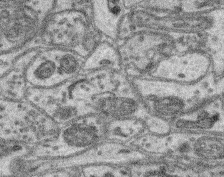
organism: Mouse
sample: Retina